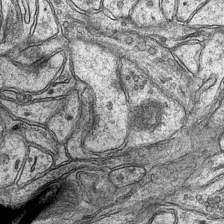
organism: Mouse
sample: CA1 Hippocampus